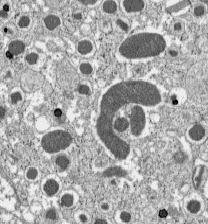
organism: C57BL Mouse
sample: Pancreatic islet